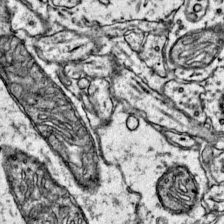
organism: Mouse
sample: Primary visual cortex